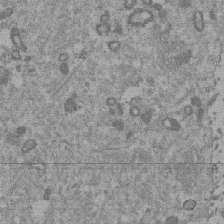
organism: Mouse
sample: Dividing mouse embryo 1 cell stage